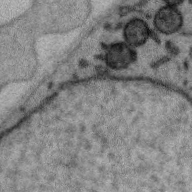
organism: Zebra finch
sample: Brain